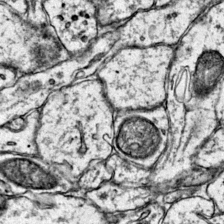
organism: Mouse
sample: Primary visual cortex